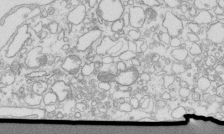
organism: Mouse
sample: Macrophages